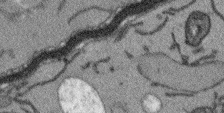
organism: Arabidopsis thaliana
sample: Root tip